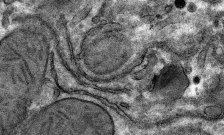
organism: Mouse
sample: Mouse hepatocytes